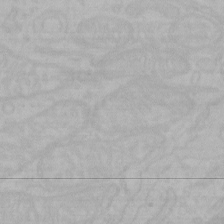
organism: Mouse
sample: Choroid plexus